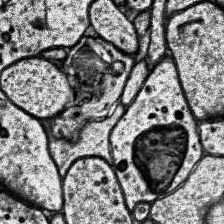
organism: Human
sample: Temporal Lobe